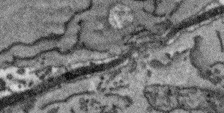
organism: Arabidopsis thaliana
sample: Root tip